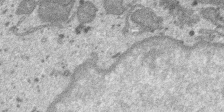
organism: Human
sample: Lung epithelial cells infected with SARS-CoV-2